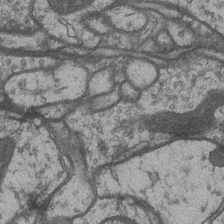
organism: Drosophila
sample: Optic medulla